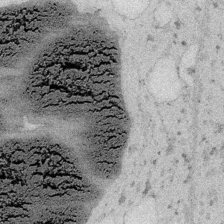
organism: Embia sp.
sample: Silk gland